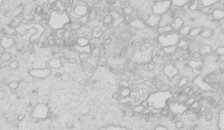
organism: Mouse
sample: Multiciliated cells